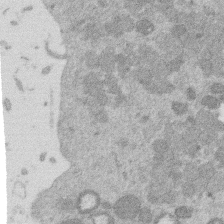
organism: Mouse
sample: Dividing mouse embryo 1 cell stage